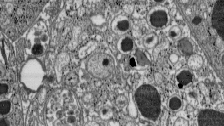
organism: C57BL Mouse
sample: Pancreatic islet